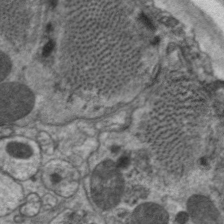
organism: C. elegans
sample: Pharynx